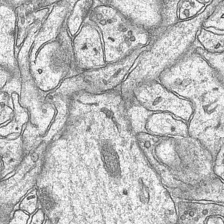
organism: Mouse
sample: CA1 Hippocampus